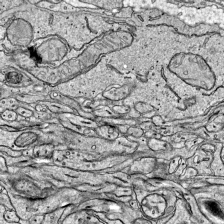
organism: Mouse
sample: Visual Cortex